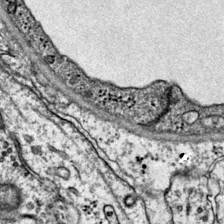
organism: Mouse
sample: Primary visual cortex